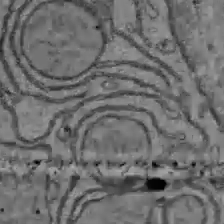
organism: C57BL Mouse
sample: Liver